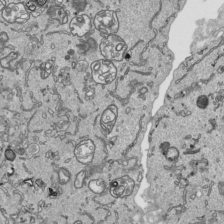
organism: Human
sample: Mitochondria in HCT116 cells